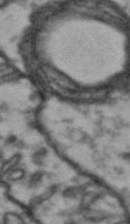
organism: Drosophila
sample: Brain